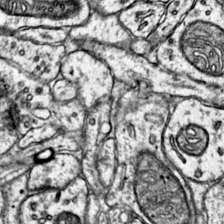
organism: Mouse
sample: Primary visual cortex